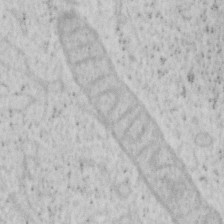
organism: Human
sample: HeLa cells